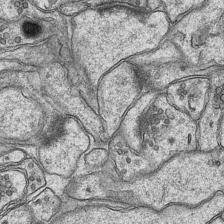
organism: Mouse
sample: CA1 Hippocampus